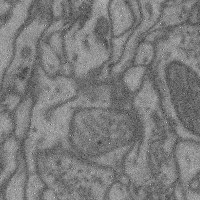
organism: Mouse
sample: Cerebral cortex